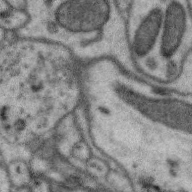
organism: Zebra finch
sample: Brain